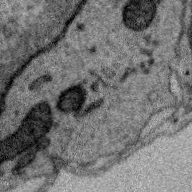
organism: Zebra finch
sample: Brain